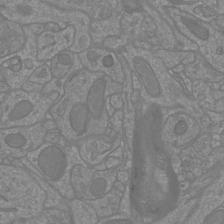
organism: Mouse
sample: Cortical neurons